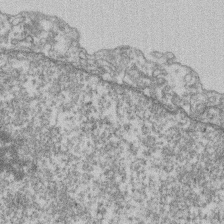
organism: Mouse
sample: T cell stromal cell synapse